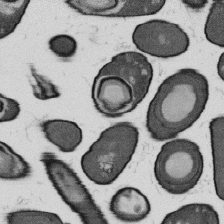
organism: B. subtilis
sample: Bacterial spore